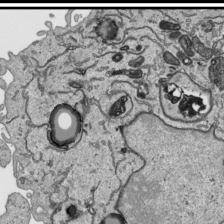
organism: Human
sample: Mitochondria in HCT116 cells